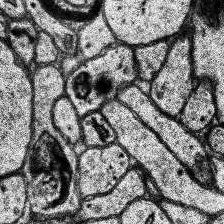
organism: Human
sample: Temporal Lobe